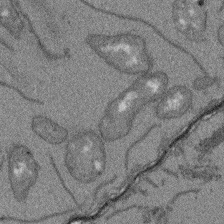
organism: Arabidopsis thaliana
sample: Root tip